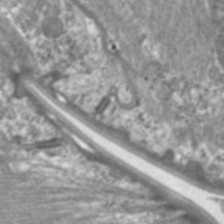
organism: C. elegans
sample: Pharynx